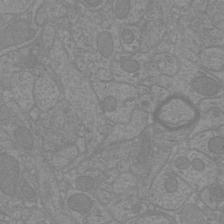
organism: Mouse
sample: Cortical neurons